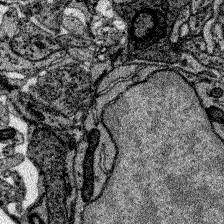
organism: Zebrafish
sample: Larval olfactory bulb